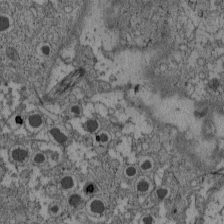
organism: C57BL Mouse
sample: Pancreatic islet